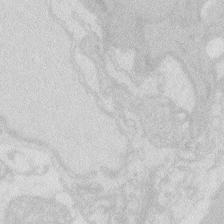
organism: Zebrafish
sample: Macrophage